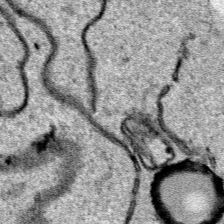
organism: Human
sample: Mitochondria in HCT116 cells